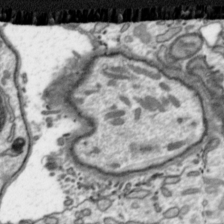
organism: Toxoplasma gondii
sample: Parasites in a vacuole inside a host cell